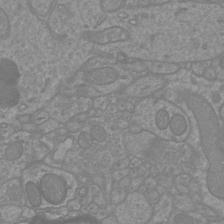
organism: Mouse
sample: Cortical neurons